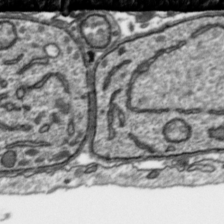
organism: Toxoplasma gondii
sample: Parasites in a vacuole inside a host cell